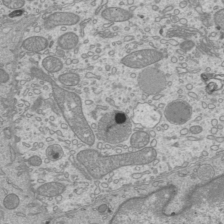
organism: Mouse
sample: Cilia; mouse epididymis